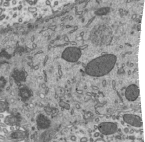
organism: Mouse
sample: Mouse epididymis efferent ductule cilia